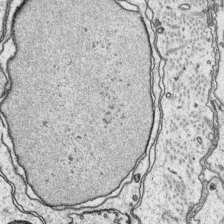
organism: Platynereis dumerilii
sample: Parapodia